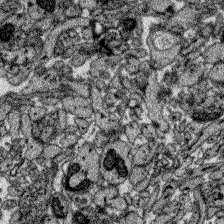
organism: Zebrafish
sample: Larval olfactory bulb